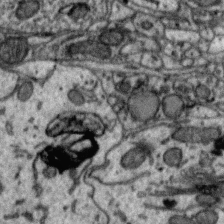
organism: Zebra finch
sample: Brain